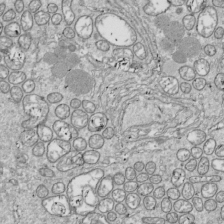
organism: Drosophila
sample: Cell division; meiosis; drosophila spermatocytes